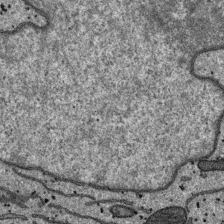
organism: Human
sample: Lung epithelial cells, uninfected (mock) control